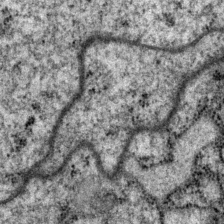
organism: P. pacificus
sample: Pharynx